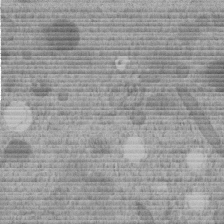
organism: C. elegans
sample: C. elegans embryo early stage